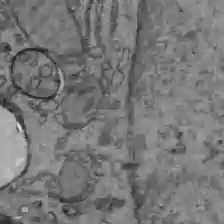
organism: C57BL Mouse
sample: Liver